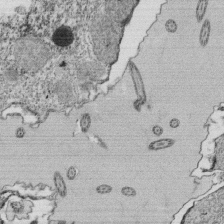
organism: Tetrahymena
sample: Cilia in tetrahymena